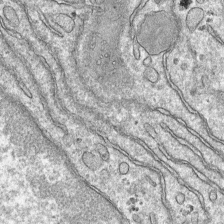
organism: Mouse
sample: Mouse hepatocytes